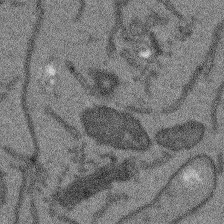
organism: Arabidopsis thaliana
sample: Root tip